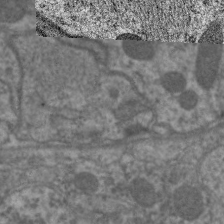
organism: C. elegans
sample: Pharynx